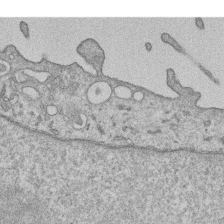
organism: Human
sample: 1205lu cells